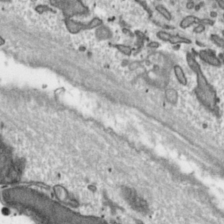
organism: Toxoplasma gondii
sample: Parasites in a vacuole inside a host cell